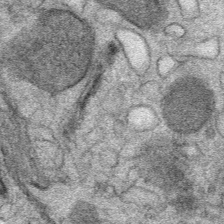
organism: Mouse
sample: Mouse Salivary gland